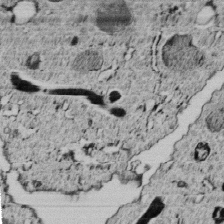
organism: C. elegans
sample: C. elegans embryo early stage